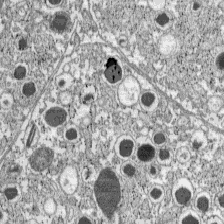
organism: C57BL Mouse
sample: Pancreatic islet